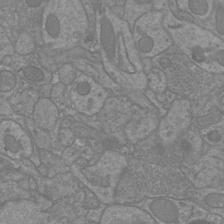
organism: Mouse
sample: Cortical neurons